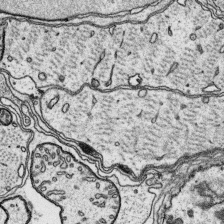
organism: Platynereis dumerilii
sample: Parapodia